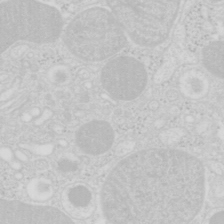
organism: Mouse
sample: Pancreas